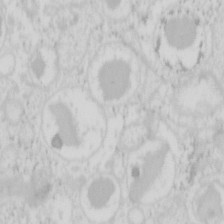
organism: Mouse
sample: Pancreas